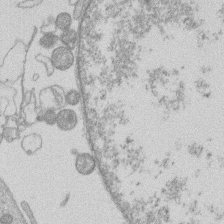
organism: Human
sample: Macrophage cells